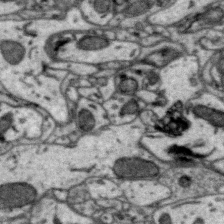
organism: Zebra finch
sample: Brain